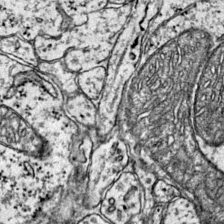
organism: Mouse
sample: Primary visual cortex